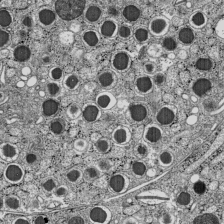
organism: C57BL Mouse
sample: Pancreatic islet